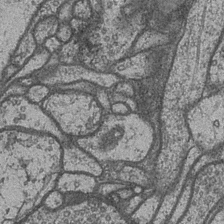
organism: Drosophila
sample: Optic medulla